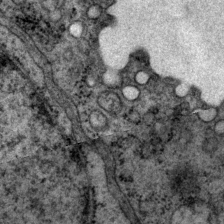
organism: P. pacificus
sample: Pharynx